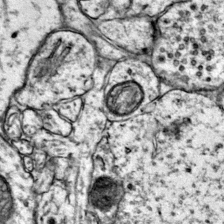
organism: Mouse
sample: Primary visual cortex